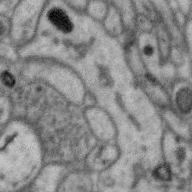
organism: Zebra finch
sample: Brain